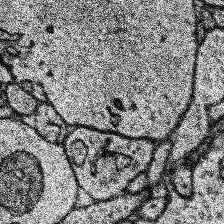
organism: Human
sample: Temporal Lobe